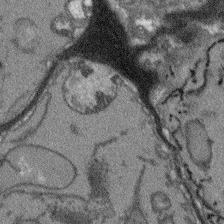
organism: Arabidopsis thaliana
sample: Root tip